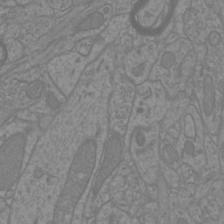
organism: Mouse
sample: Cortical neurons